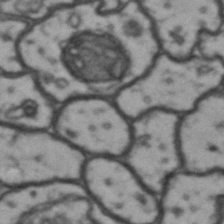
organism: Drosophila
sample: Brain